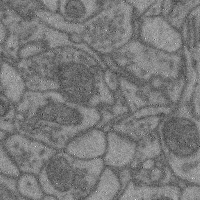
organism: Mouse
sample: Cerebral cortex